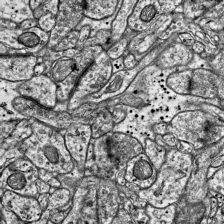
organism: Mouse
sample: Visual Cortex